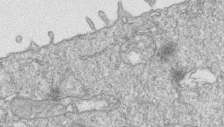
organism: Human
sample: HeLa cell HIV synapse